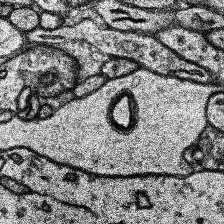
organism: Human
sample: Temporal Lobe